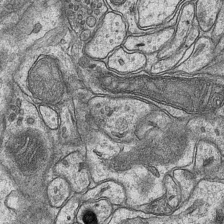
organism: Mouse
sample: CA1 Hippocampus